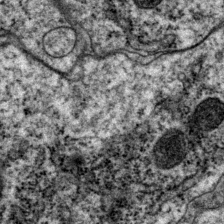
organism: P. pacificus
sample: Pharynx